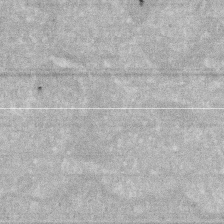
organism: Human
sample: HIV infected U937 cells